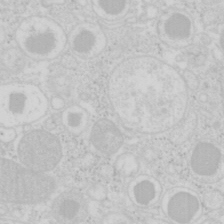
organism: Mouse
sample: Pancreas